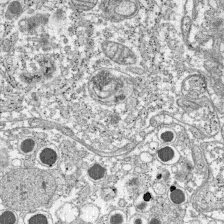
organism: C57BL Mouse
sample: Pancreatic islet